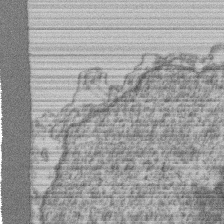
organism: Mouse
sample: T cell stromal cell synapse